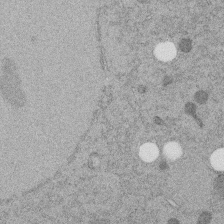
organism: C. elegans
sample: C. elegans embryo early stage